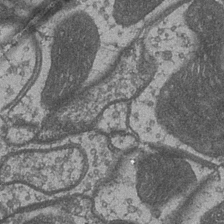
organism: Drosophila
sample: Optic medulla